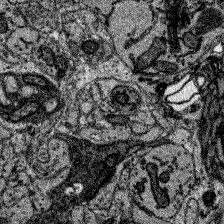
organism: Zebrafish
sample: Larval olfactory bulb